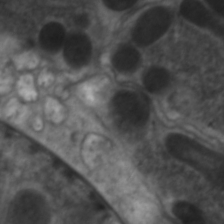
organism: C. elegans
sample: Pharynx